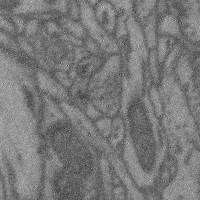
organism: Mouse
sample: Cerebral cortex